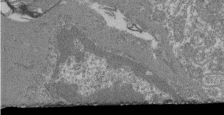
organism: Mouse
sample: Glomerulus